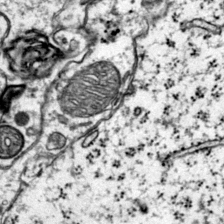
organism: Mouse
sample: Primary visual cortex